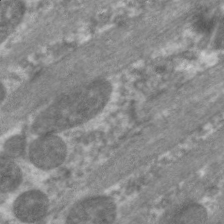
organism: C. elegans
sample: Pharynx